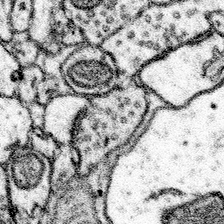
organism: Mouse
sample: Somatosensory cortex neuropil